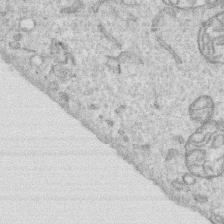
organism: Human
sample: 1205lu cells